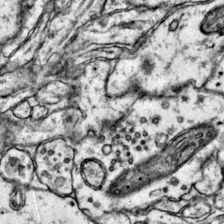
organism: Mouse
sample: Primary visual cortex